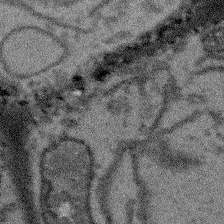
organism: Arabidopsis thaliana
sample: Root tip